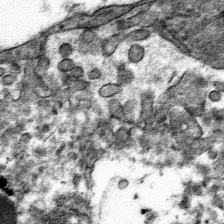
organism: Mouse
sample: Mouse hepatocytes